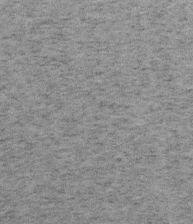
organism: Mouse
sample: OT-I killer T cells with ID8 ovarian cancer cells